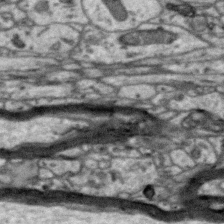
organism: Zebra finch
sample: Brain